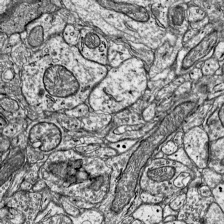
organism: Mouse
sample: Visual Cortex